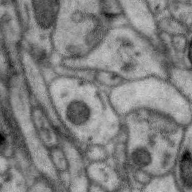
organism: Zebra finch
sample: Brain